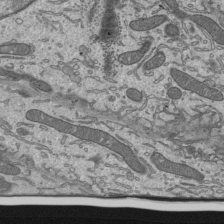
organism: Mouse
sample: Mouse epididymis efferent ductule cilia